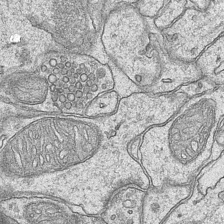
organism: Mouse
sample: CA1 Hippocampus